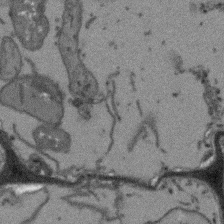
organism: Arabidopsis thaliana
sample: Root tip